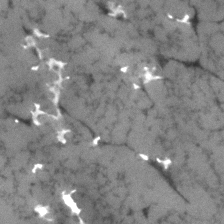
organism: Human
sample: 1205lu cells